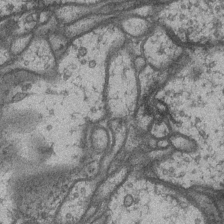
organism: Drosophila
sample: Optic medulla